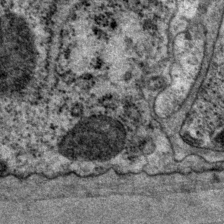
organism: P. pacificus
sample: Pharynx